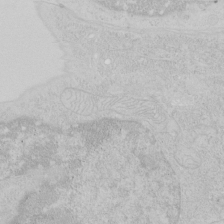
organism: Human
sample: Mitochondria in HCT116 cells